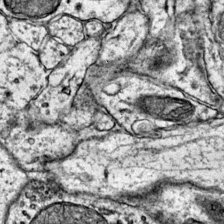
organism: Mouse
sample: Primary visual cortex